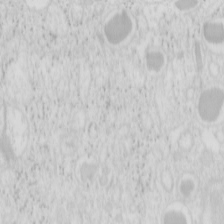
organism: Mouse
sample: Pancreas